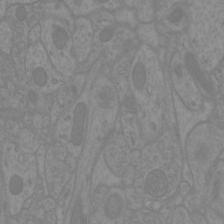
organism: Mouse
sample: Cortical neurons